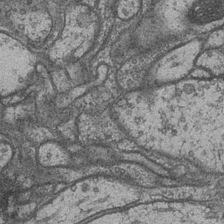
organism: Drosophila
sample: Optic medulla